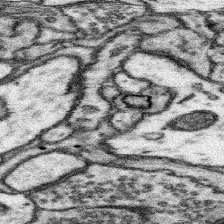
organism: Mouse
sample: Somatosensory cortex neuropil